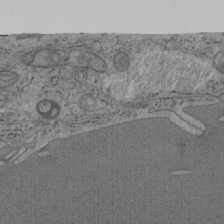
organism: Human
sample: HeLa cells